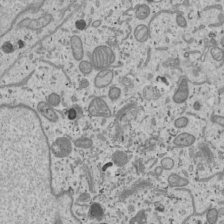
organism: Human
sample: Mitochondria in U2OS cells